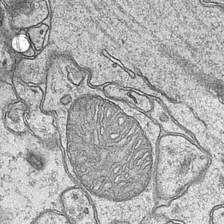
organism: Mouse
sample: CA1 Hippocampus